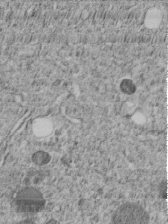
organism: C. elegans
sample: C. elegans embryo early stage